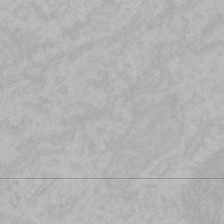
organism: Mouse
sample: Choroid plexus